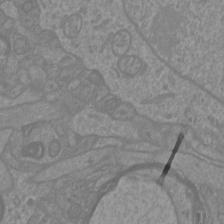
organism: Mouse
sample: Cortical neurons